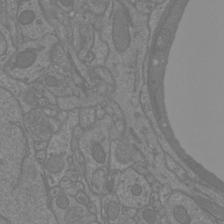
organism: Mouse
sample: Cortical neurons